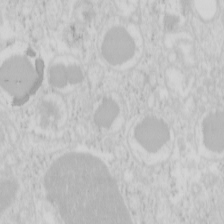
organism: Mouse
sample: Pancreas